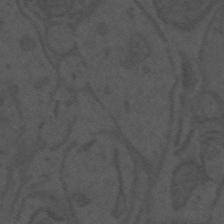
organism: Mouse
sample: Suprachiasmatic nucleus